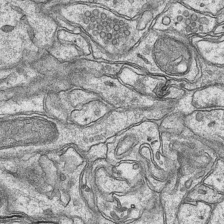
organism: Mouse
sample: CA1 Hippocampus